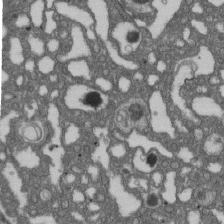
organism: Drosophila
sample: Nephrocyte